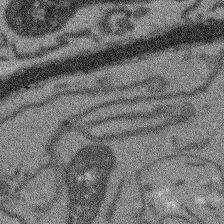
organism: Arabidopsis thaliana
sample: Root tip